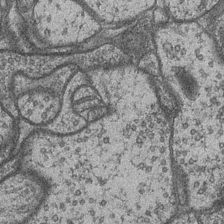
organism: Drosophila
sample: Optic medulla